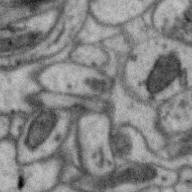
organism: Zebra finch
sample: Brain